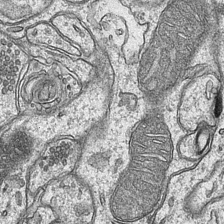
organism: Mouse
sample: CA1 Hippocampus